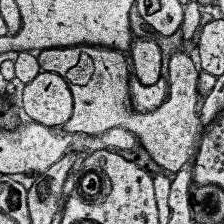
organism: Human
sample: Temporal Lobe